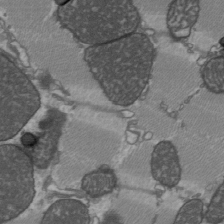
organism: C57BL Mouse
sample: Heart